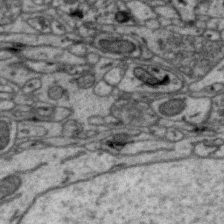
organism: Zebra finch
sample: Brain